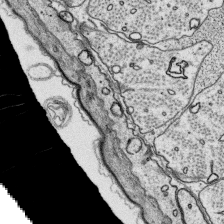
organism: Platynereis dumerilii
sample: Parapodia